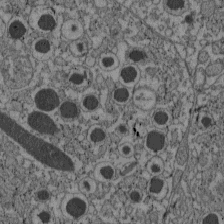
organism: C57BL Mouse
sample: Pancreatic islet